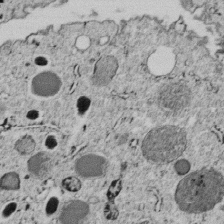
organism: C. elegans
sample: C. elegans embryo early stage